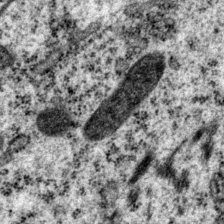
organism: P. pacificus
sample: Pharynx